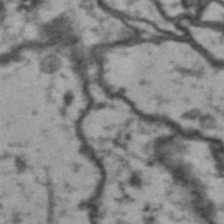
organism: Drosophila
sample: Brain